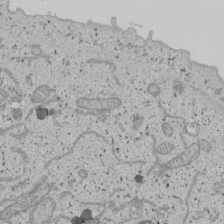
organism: Human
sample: Mitochondria in U2OS cells